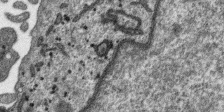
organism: Human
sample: Lung epithelial cells infected with SARS-CoV-2